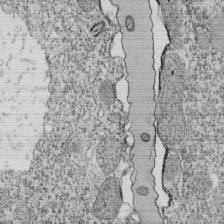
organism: Tetrahymena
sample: Cilia in tetrahymena